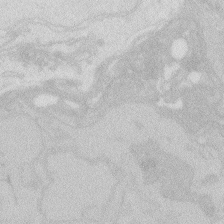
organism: Zebrafish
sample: Macrophage